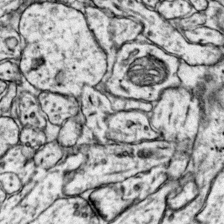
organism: Mouse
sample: Primary visual cortex